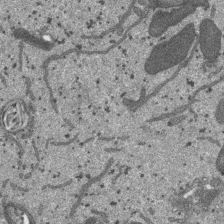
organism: Human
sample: Lung epithelial cells infected with SARS-CoV-2